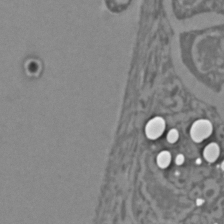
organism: C. elegans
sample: C. elegans embryo